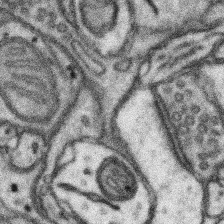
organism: Mouse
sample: Somatosensory cortex neuropil